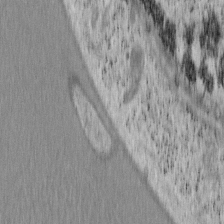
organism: Human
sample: HeLa cells